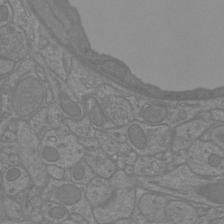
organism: Mouse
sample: Cortical neurons